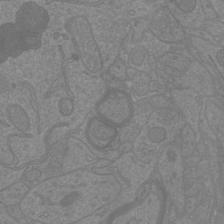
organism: Mouse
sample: Cortical neurons